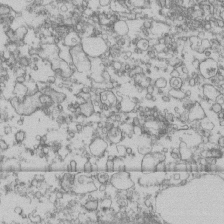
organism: Human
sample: Fibroblast cells